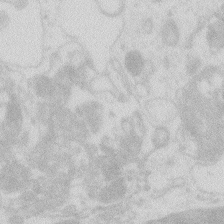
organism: Zebrafish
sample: Macrophage